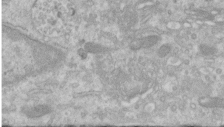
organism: Human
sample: Centriole in RPE cells